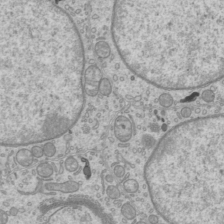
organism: Mouse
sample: Cilia; mouse epididymis